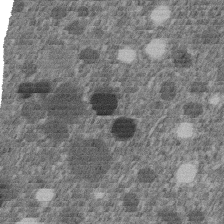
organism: C. elegans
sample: C. elegans embryo early stage